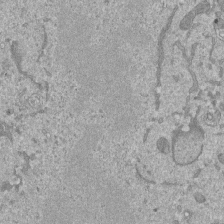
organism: Mouse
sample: ED-1 cell nuclei; centrioles